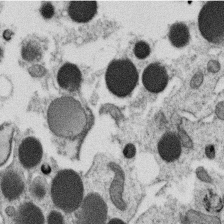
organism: C. elegans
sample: C. elegans oocyte; sperm cells